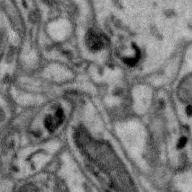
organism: Zebra finch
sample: Brain